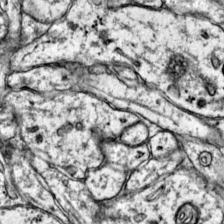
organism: Mouse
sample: Primary visual cortex